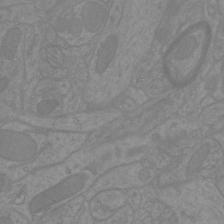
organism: Mouse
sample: Cortical neurons